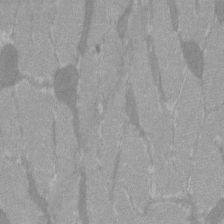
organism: C57BL Mouse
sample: Tibialis anterior muscle cell